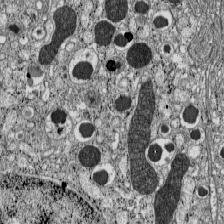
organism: C57BL Mouse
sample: Pancreatic islet